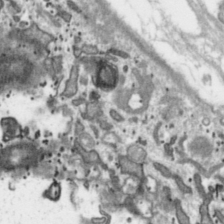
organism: Toxoplasma gondii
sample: Parasites in a vacuole inside a host cell